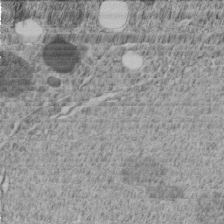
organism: C. elegans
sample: C. elegans embryo early stage